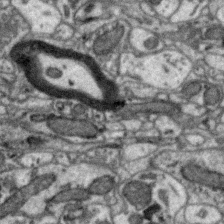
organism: Zebra finch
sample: Brain